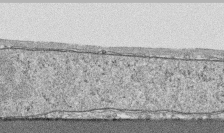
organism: Human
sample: CRL-1474